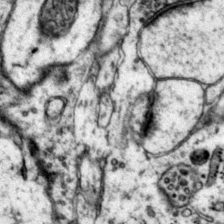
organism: Mouse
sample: Primary visual cortex